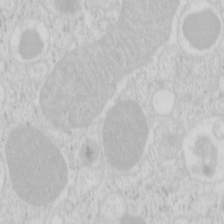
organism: Mouse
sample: Pancreas